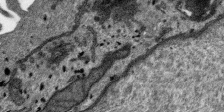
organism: Human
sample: Lung epithelial cells, uninfected (mock) control